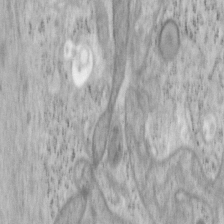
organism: Human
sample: HeLa cells